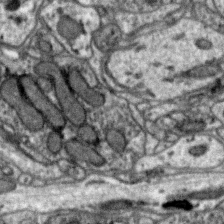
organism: Zebra finch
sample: Brain